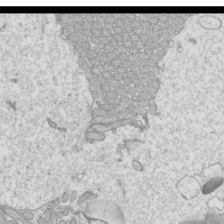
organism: Mouse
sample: Cilia; mouse epididymis